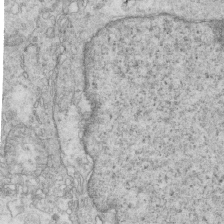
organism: Mouse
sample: Multiciliated cells